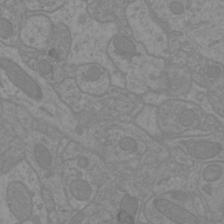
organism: Mouse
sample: Cortical neurons